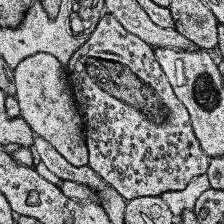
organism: Human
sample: Temporal Lobe